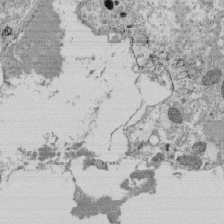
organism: Tetrahymena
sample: Cilia in tetrahymena